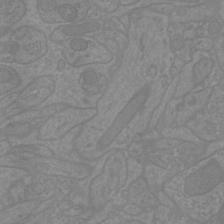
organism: Mouse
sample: Cortical neurons